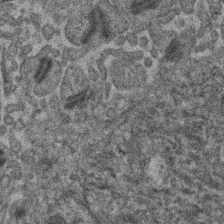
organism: Human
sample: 1205lu cells